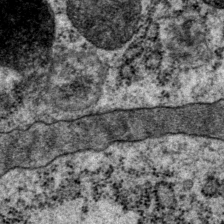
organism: P. pacificus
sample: Pharynx